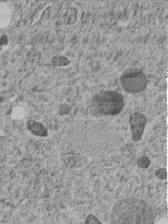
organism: C. elegans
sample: C. elegans embryo early stage